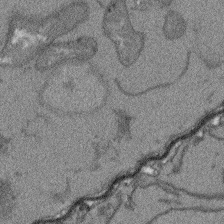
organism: Arabidopsis thaliana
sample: Root tip